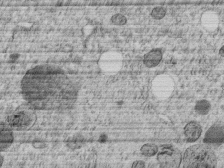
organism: C. elegans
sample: C. elegans embryo early stage